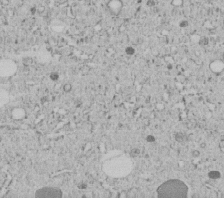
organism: C. elegans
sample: C. elegans embryo early stage